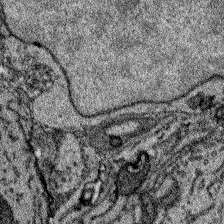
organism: Zebrafish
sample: Larval olfactory bulb